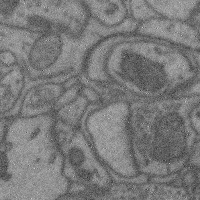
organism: Mouse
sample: Cerebral cortex